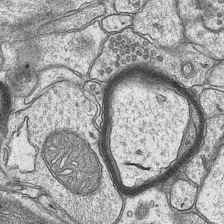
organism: Mouse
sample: CA1 Hippocampus